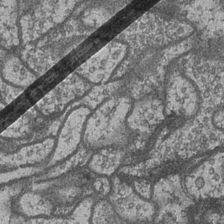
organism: Drosophila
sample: Optic medulla